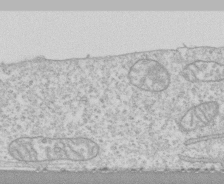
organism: Human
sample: CRL-1474